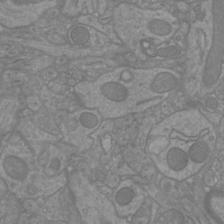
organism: Mouse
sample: Cortical neurons